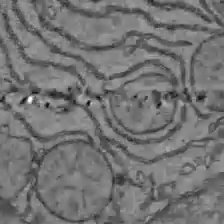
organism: C57BL Mouse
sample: Liver